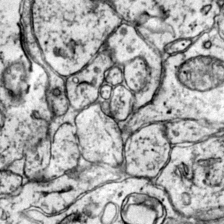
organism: Mouse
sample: Primary visual cortex